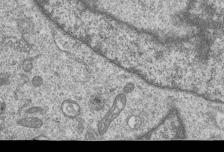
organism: Human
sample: MDA-MB-231 cells